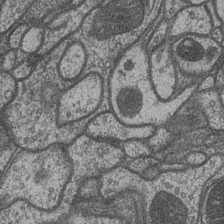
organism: Drosophila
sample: Optic medulla